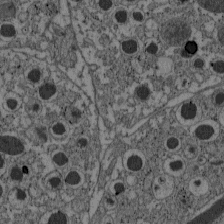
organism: C57BL Mouse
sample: Pancreatic islet